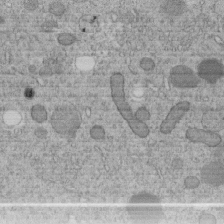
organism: C. elegans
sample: C. elegans embryo early stage